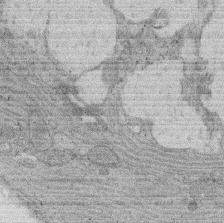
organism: Rat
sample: Salivary granule